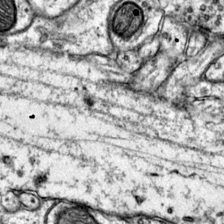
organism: Mouse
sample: Primary visual cortex